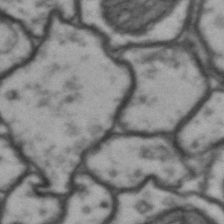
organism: Drosophila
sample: Brain